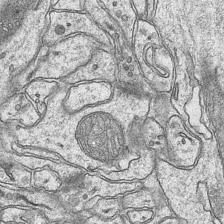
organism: Mouse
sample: CA1 Hippocampus